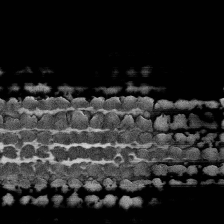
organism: Human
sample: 1205lu cells